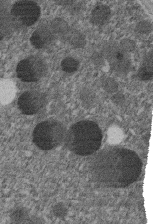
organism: C. elegans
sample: C. elegans embryo early stage